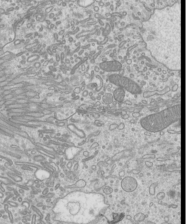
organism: Mouse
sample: Cilia; mouse epididymis